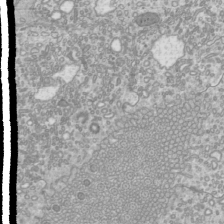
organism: Mouse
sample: Cilia; mouse epididymis